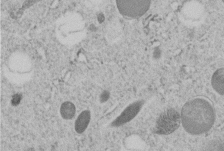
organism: C. elegans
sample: C. elegans embryo early stage